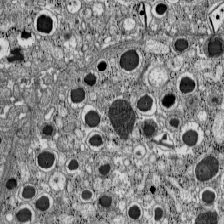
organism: C57BL Mouse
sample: Pancreatic islet